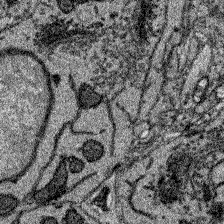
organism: Zebrafish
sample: Larval olfactory bulb